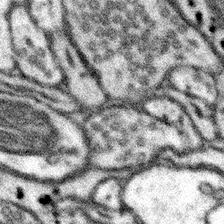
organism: Mouse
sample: Somatosensory cortex neuropil